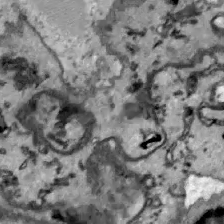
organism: Zebrafish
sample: Actinotrichia fibers